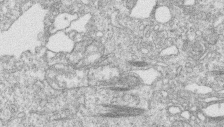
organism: Human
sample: HeLa cell HIV synapse